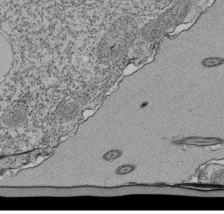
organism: Tetrahymena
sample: Cilia in tetrahymena